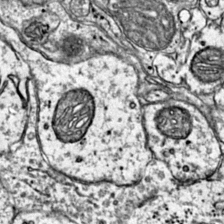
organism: Mouse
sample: Primary visual cortex